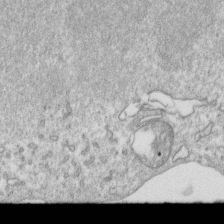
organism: Mouse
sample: Activated OT-1 CD8+ T cells